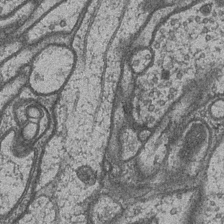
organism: Drosophila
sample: Optic medulla